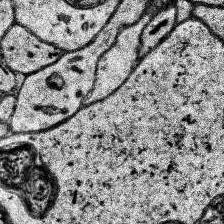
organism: Human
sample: Temporal Lobe